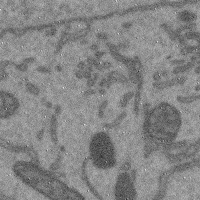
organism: Mouse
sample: Cerebral cortex